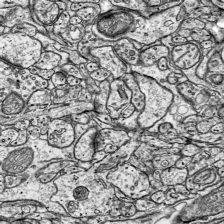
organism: Mouse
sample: Visual Cortex